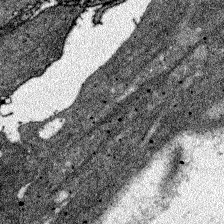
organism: Zebrafish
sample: Larval olfactory bulb